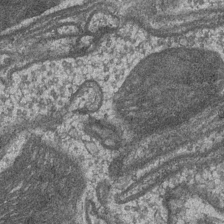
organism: Drosophila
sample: Optic medulla